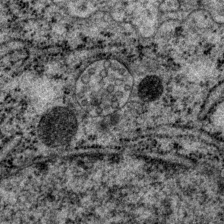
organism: P. pacificus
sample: Pharynx